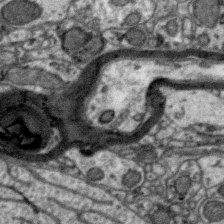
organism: Zebra finch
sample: Brain